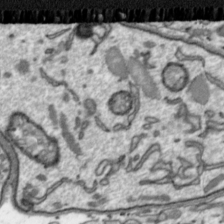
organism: Toxoplasma gondii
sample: Parasites in a vacuole inside a host cell